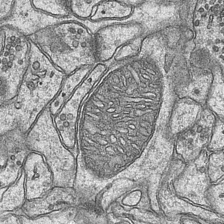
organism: Mouse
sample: CA1 Hippocampus